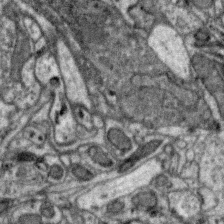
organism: Zebra finch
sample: Brain